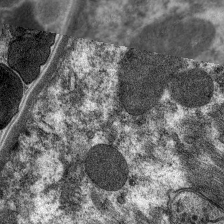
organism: C. elegans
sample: Pharynx